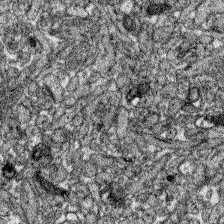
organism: Zebrafish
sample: Larval olfactory bulb